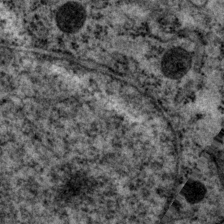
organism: P. pacificus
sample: Pharynx